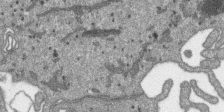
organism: Human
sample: Lung epithelial cells infected with SARS-CoV-2